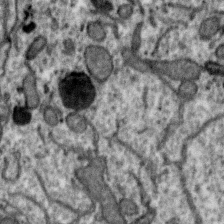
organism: Zebra finch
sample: Brain